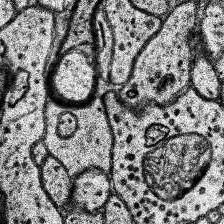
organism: Human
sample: Temporal Lobe